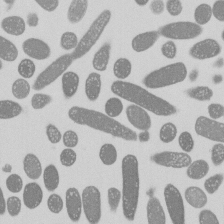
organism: E. coli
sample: Bacterial nucleoid